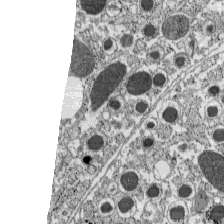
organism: C57BL Mouse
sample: Pancreatic islet